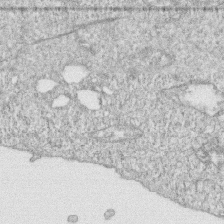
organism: Human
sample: HeLa cell HIV synapse